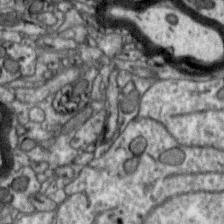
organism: Zebra finch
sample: Brain